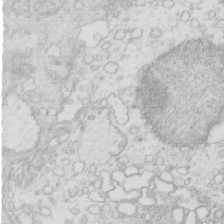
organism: Mouse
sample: Multiciliated cells